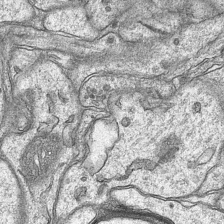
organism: Mouse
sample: CA1 Hippocampus